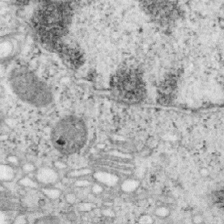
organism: Mouse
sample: OT-I killer T cells with ID8 ovarian cancer cells